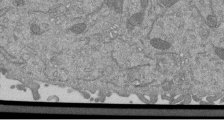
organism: Mouse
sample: ED-1 cell nuclei; centrioles